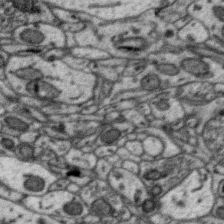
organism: Zebra finch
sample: Brain